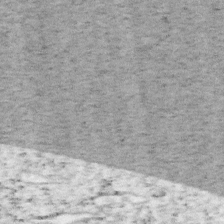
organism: Mouse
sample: OT-I killer T cells with ID8 ovarian cancer cells